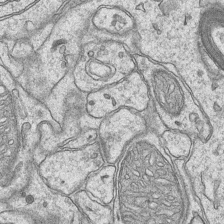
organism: Mouse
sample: CA1 Hippocampus